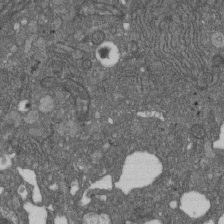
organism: Drosophila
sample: Nephrocyte